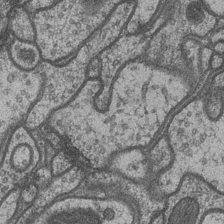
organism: Drosophila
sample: Optic medulla